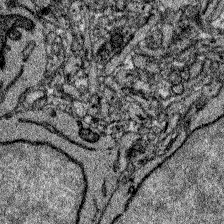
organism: Zebrafish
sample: Larval olfactory bulb